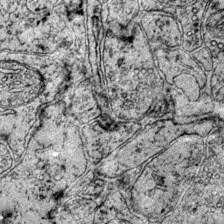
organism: Mouse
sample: Primary visual cortex